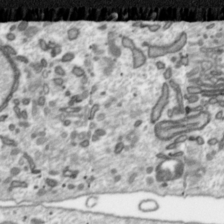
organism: Toxoplasma gondii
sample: Parasites in a vacuole inside a host cell